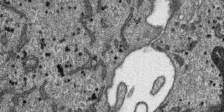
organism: Human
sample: Lung epithelial cells infected with SARS-CoV-2